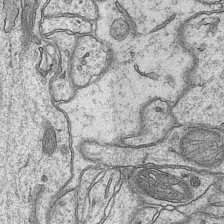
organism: Mouse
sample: CA1 Hippocampus